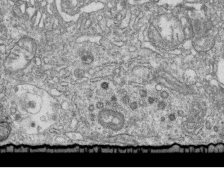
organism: Human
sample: HeLa cell HIV synapse